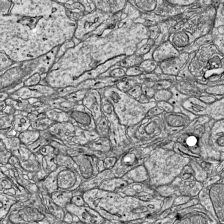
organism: Mouse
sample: Visual Cortex